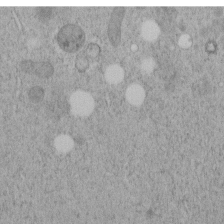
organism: C. elegans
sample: C. elegans embryo early stage